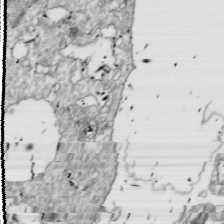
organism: Drosophila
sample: Cell division; meiosis; drosophila spermatocytes